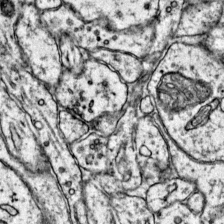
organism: Mouse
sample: Primary visual cortex